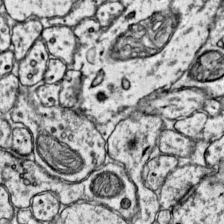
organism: Mouse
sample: Primary visual cortex